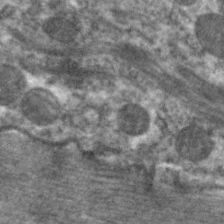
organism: C. elegans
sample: Pharynx